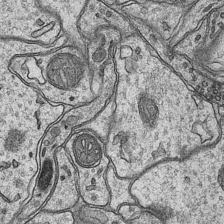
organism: Mouse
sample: CA1 Hippocampus